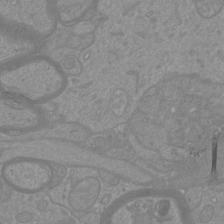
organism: Mouse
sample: Cortical neurons